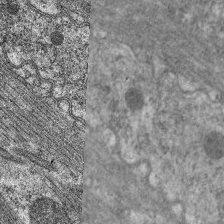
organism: C. elegans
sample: Pharynx